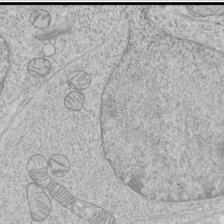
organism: Human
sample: Mitochondria in HCT116 cells